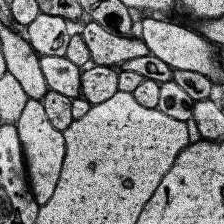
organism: Human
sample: Temporal Lobe